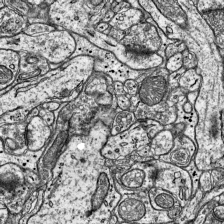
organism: Mouse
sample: Visual Cortex